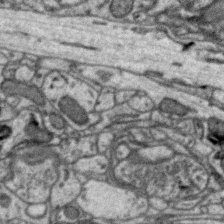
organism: Zebra finch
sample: Brain